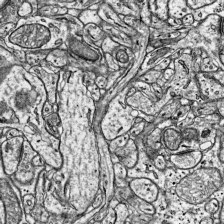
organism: Mouse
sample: Visual Cortex